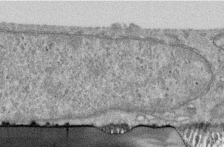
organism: Human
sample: Centriole in RPE cells